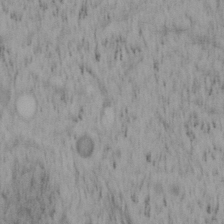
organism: Mouse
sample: OT-I killer T cells with ID8 ovarian cancer cells